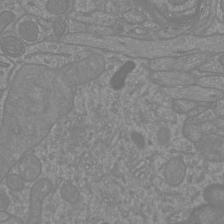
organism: Mouse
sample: Cortical neurons